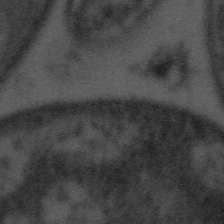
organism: Tuwongella immobilis